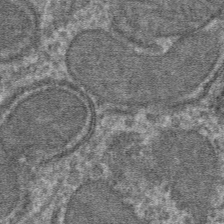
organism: Mouse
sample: Mouse hepatocytes